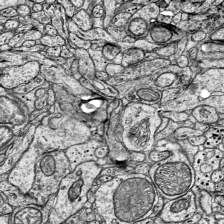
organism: Mouse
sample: Visual Cortex